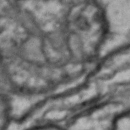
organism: Drosophila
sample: Brain